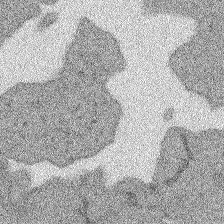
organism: Human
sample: HeLa cells